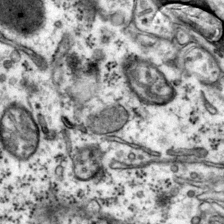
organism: Mouse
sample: Primary visual cortex